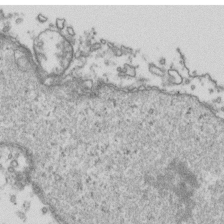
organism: Human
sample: Activated Jurkat CD4+ T cells